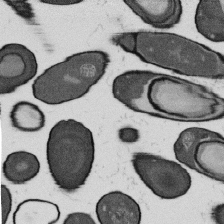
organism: B. subtilis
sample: Bacterial spore